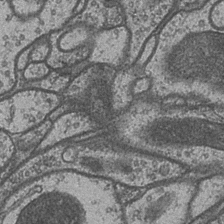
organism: Drosophila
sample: Optic medulla